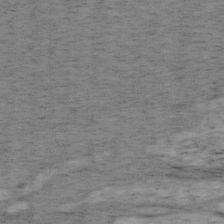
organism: Mouse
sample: OT-I killer T cells with ID8 ovarian cancer cells